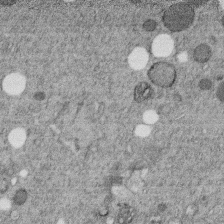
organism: C. elegans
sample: C. elegans embryo early stage